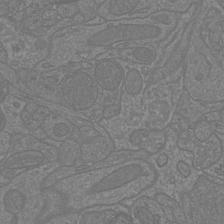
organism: Mouse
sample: Cortical neurons